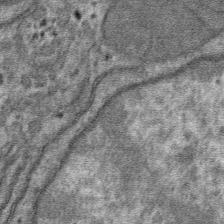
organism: Mouse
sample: Mouse hepatocytes